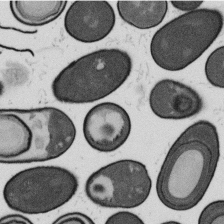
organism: B. subtilis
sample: Bacterial spore